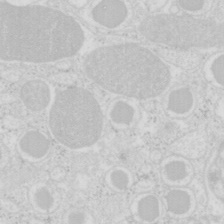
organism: Mouse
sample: Pancreas